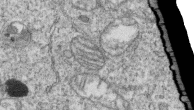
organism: Human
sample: HeLa cell HIV synapse